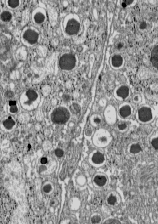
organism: C57BL Mouse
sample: Pancreatic islet